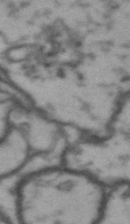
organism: Drosophila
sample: Brain